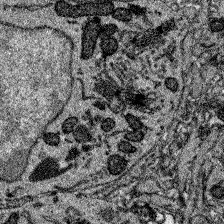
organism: Zebrafish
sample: Larval olfactory bulb